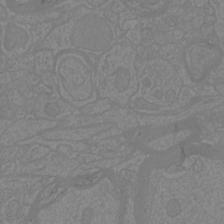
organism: Mouse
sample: Cortical neurons